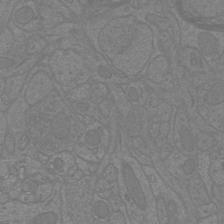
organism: Mouse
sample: Cortical neurons